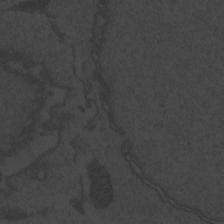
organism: Zebrafish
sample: Macrophage infected with Toxoplasma gondii